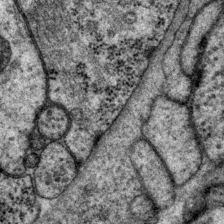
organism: P. pacificus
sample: Pharynx